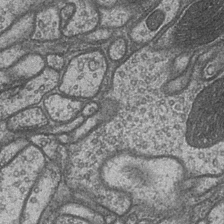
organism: Drosophila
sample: Optic medulla